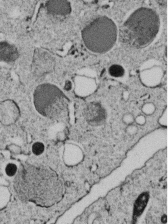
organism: C. elegans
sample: C. elegans embryo early stage